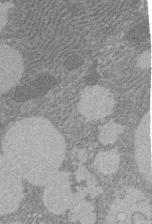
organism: Rat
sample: Salivary granule